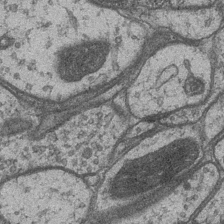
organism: Drosophila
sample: Optic medulla